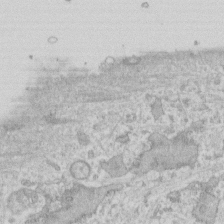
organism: Human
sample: Fibroblast cells